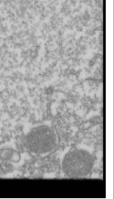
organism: Drosophila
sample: Cell division; meiosis; drosophila spermatocytes